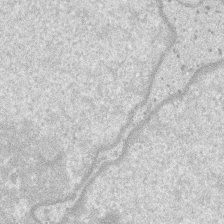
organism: Human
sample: Lung epithelial cells infected with SARS-CoV-2